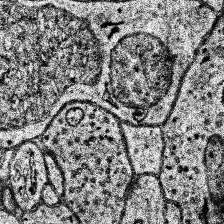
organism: Human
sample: Temporal Lobe